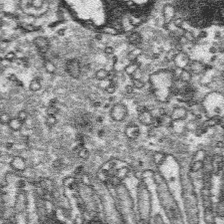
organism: Platynereis dumerilii